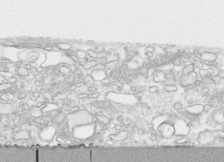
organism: Human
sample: CRL-1474